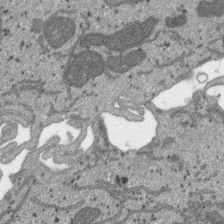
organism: Human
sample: Lung epithelial cells infected with SARS-CoV-2